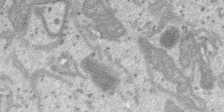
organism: Human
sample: Lung epithelial cells infected with SARS-CoV-2